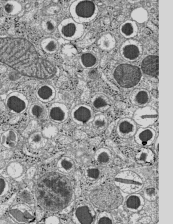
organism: C57BL Mouse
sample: Pancreatic islet